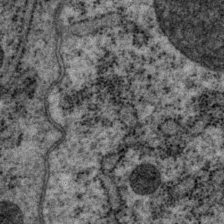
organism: P. pacificus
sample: Pharynx